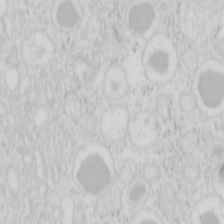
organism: Mouse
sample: Pancreas